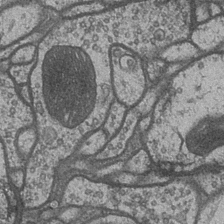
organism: Drosophila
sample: Optic medulla